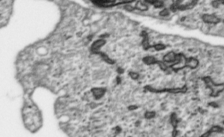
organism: Toxoplasma gondii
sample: Parasites in a vacuole inside a host cell